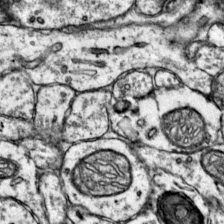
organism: Mouse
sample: Primary visual cortex